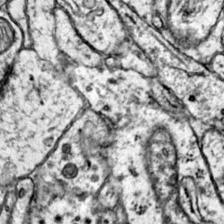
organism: Mouse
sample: Primary visual cortex